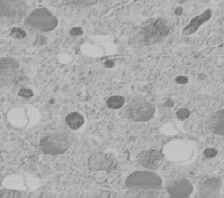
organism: C. elegans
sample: C. elegans embryo early stage